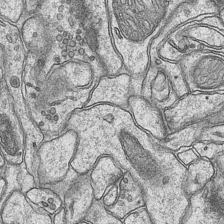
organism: Mouse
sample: CA1 Hippocampus